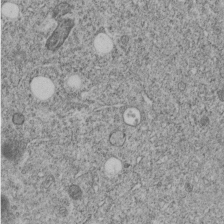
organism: C. elegans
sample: C. elegans embryo early stage